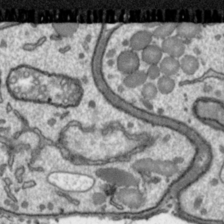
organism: Toxoplasma gondii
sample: Parasites in a vacuole inside a host cell